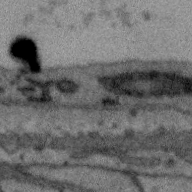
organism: Zebra finch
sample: Brain